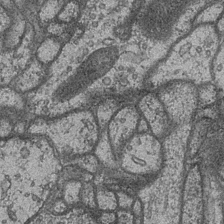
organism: Drosophila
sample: Optic medulla